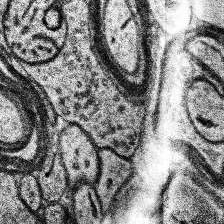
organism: Human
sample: Temporal Lobe